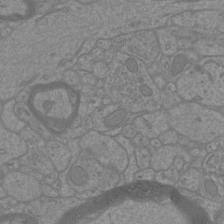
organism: Mouse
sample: Cortical neurons